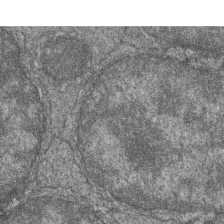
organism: Zebrafish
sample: Cilia; retinal pigment epithelium